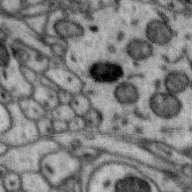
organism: Zebra finch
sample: Brain